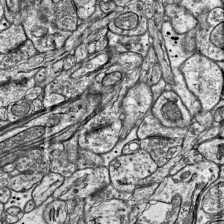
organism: Mouse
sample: Visual Cortex